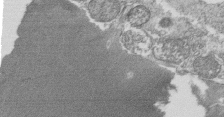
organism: Tetrahymena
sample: Cilia in tetrahymena